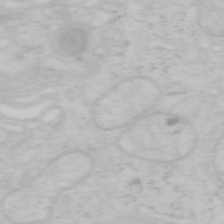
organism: Mouse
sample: OT-I killer T cells with ID8 ovarian cancer cells